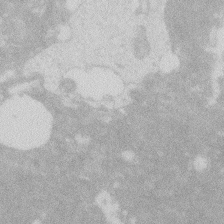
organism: Zebrafish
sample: Macrophage